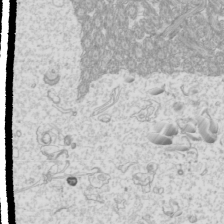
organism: Mouse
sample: Cilia; mouse epididymis